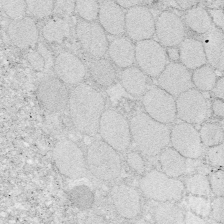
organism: Zebrafish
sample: Whole-Brain